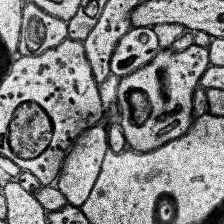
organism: Human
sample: Temporal Lobe